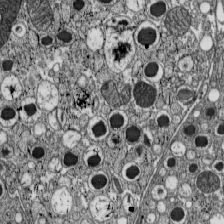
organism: C57BL Mouse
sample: Pancreatic islet